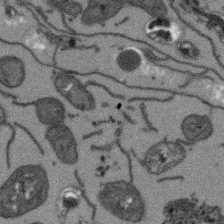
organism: Arabidopsis thaliana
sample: Root tip